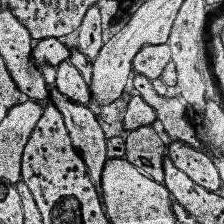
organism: Human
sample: Temporal Lobe